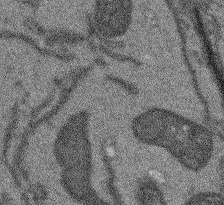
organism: Arabidopsis thaliana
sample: Root tip